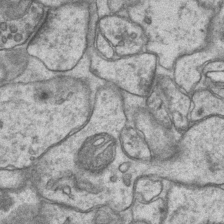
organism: Mouse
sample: CA1 Hippocampus